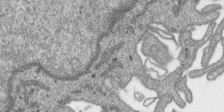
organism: Human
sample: Lung epithelial cells infected with SARS-CoV-2